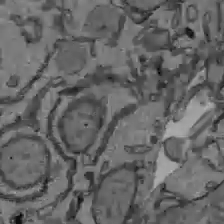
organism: C57BL Mouse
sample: Liver